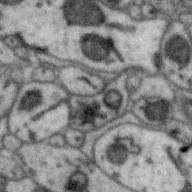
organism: Zebra finch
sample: Brain